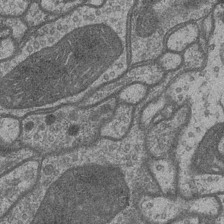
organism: Drosophila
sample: Optic medulla